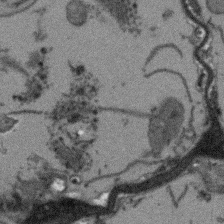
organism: Arabidopsis thaliana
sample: Root tip